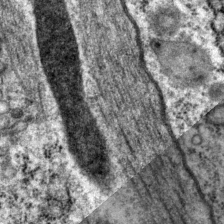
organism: P. pacificus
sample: Pharynx